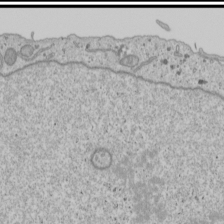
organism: Human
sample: Mitochondria in U2OS cells